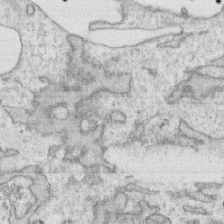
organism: Human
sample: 1205lu cells